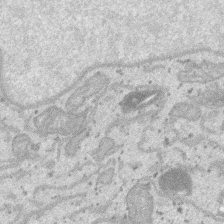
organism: Human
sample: Lung epithelial cells infected with SARS-CoV-2